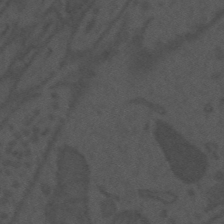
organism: Mouse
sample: Suprachiasmatic nucleus